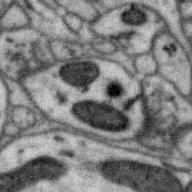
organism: Zebra finch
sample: Brain